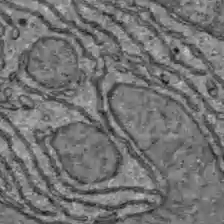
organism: C57BL Mouse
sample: Liver